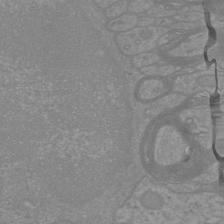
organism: Mouse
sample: Cortical neurons